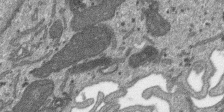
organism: Human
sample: Lung epithelial cells infected with SARS-CoV-2